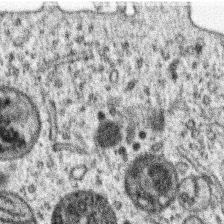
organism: Human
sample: HeLa cells